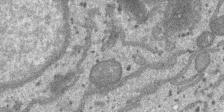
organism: Human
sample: Lung epithelial cells infected with SARS-CoV-2